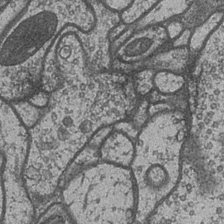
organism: Drosophila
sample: Optic medulla